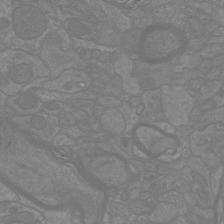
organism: Mouse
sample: Cortical neurons